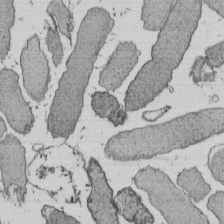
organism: E. coli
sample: Bacterial nucleoid